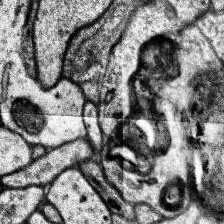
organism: Human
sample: Temporal Lobe